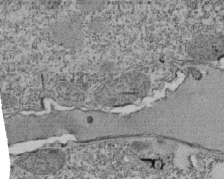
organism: Tetrahymena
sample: Cilia in tetrahymena